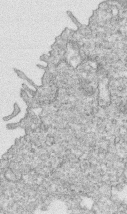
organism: Human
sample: HeLa cell HIV synapse